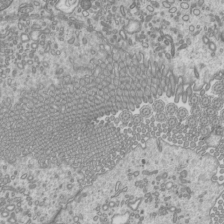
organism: Mouse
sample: Cilia; mouse epididymis